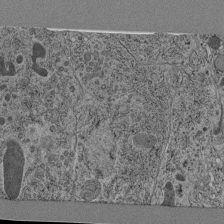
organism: C. elegans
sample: C. elegans pharynx